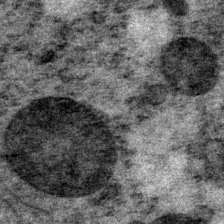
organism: P. pacificus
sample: Pharynx